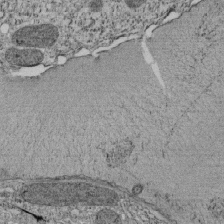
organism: Tetrahymena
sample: Cilia in tetrahymena